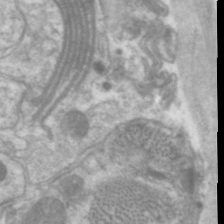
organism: C. elegans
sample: Pharynx